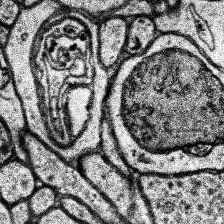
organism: Human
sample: Temporal Lobe